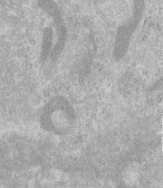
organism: Human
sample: Centriole in RPE cells